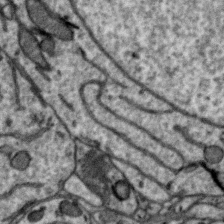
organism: Zebra finch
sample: Brain